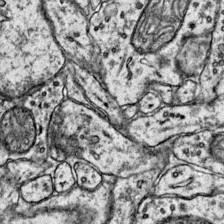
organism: Mouse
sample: Primary visual cortex